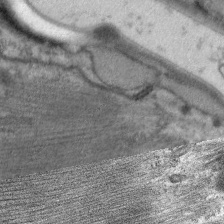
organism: C. elegans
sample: Pharynx